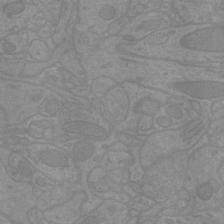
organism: Mouse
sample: Cortical neurons